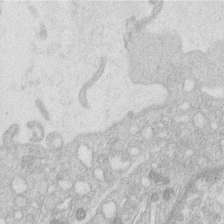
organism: Human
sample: Macrophage cells